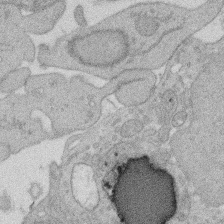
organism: Rat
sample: Salivary granule